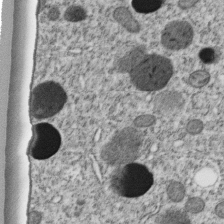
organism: C. elegans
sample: C. elegans embryo early stage